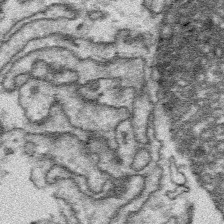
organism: Platynereis dumerilii